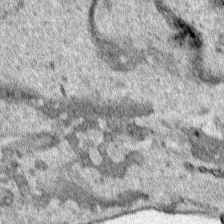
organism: Human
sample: Mitochondria in HCT116 cells